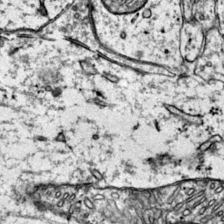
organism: Mouse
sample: Primary visual cortex